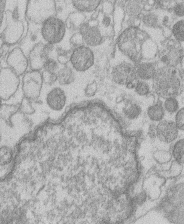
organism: Human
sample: Macrophage cells